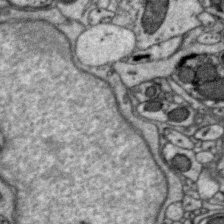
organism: Zebra finch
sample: Brain